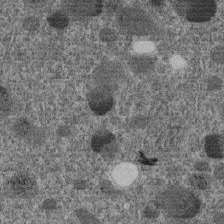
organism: C. elegans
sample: C. elegans embryo early stage